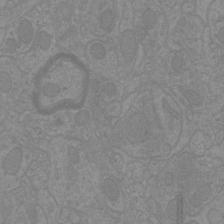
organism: Mouse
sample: Cortical neurons